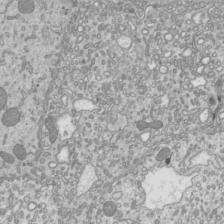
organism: Mouse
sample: Cilia; mouse epididymis